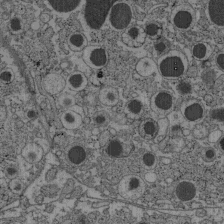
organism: C57BL Mouse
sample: Pancreatic islet